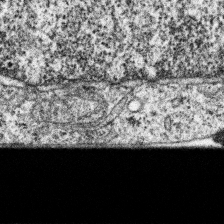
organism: Human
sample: HeLa cells